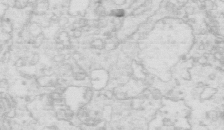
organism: Mouse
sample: Multiciliated cells